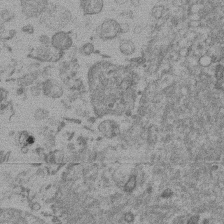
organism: Mouse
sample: Dividing mouse embryo 1 cell stage